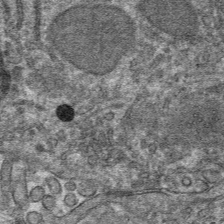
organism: Mouse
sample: Mouse hepatocytes